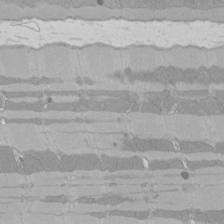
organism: Rat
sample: Left ventricle